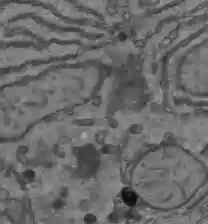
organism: C57BL Mouse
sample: Liver